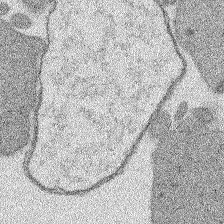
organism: Human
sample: HeLa cells